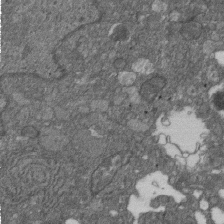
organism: Drosophila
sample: Nephrocyte